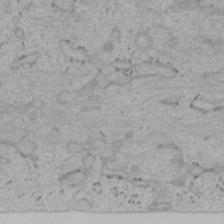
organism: Human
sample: HeLa cells